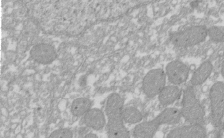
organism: Xenopus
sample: Cilia; centrioles in frog embryo cells